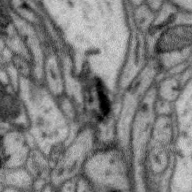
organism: Zebra finch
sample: Brain